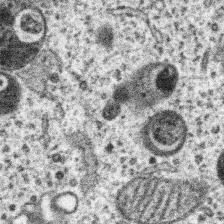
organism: Human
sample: HeLa cells